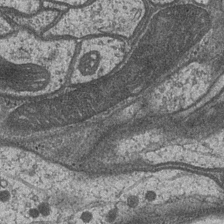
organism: Drosophila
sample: Optic medulla